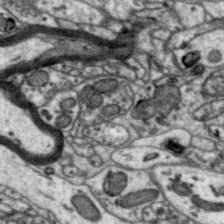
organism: Zebra finch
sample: Brain